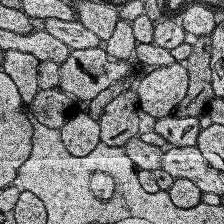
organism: Human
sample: Temporal Lobe